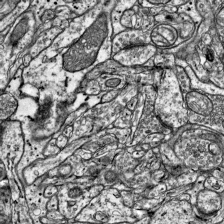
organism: Mouse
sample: Visual Cortex